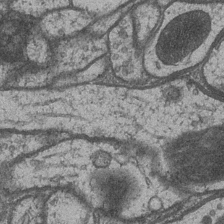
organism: Drosophila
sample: Optic medulla